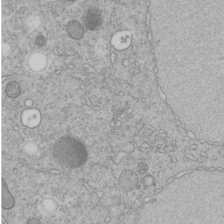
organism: C. elegans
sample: C. elegans embryo early stage